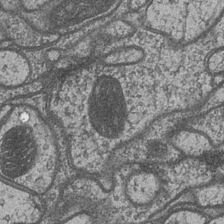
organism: Drosophila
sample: Optic medulla